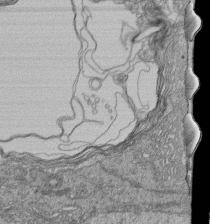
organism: Human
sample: Retinal organoid Rod and Cone cells